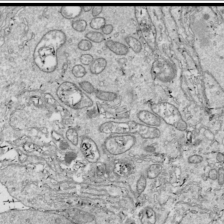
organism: Drosophila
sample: Cell division; meiosis; drosophila spermatocytes